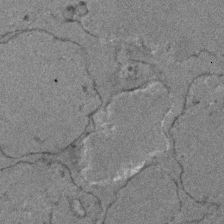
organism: Zebrafish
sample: Zebrafish embryo